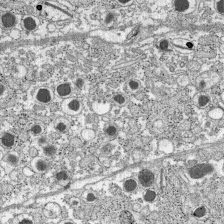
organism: C57BL Mouse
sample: Pancreatic islet